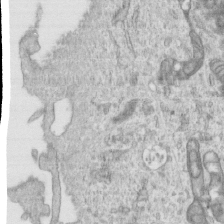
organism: Human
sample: Centriole in RPE cells